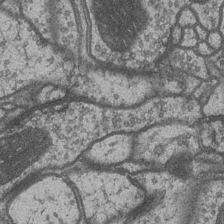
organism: Drosophila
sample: Optic medulla